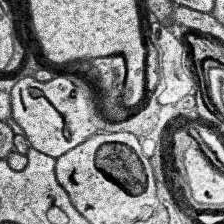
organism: Human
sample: Temporal Lobe